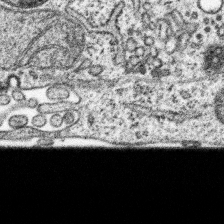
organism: Human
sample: HeLa cells